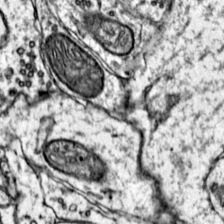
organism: Mouse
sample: Primary visual cortex